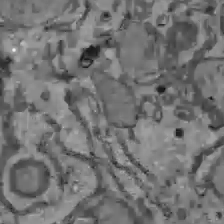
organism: C57BL Mouse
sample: Liver